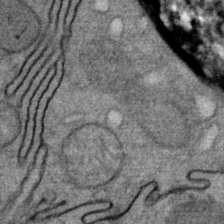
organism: Mouse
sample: Mouse Salivary gland